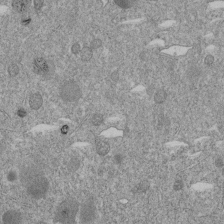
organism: C. elegans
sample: C. elegans embryo early stage